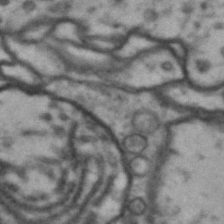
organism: Drosophila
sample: Brain